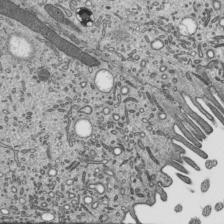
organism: Mouse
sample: Mouse epididymis efferent ductule cilia